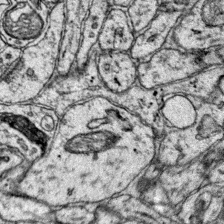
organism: Mouse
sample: Primary visual cortex